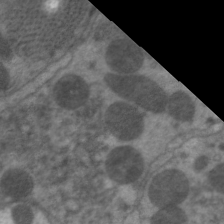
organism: C. elegans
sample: Pharynx